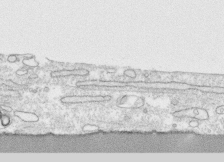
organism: Human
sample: CRL-1474